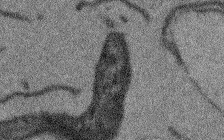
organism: Arabidopsis thaliana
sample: Root tip